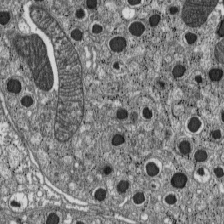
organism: C57BL Mouse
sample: Pancreatic islet